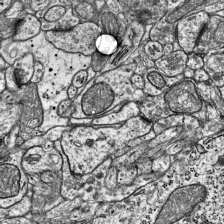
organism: Mouse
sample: Visual Cortex